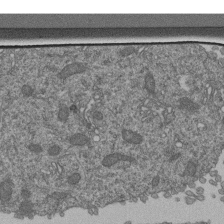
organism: Human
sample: Retinal organoid Rod and Cone cells